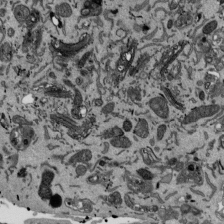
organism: Mouse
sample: ED-1 cell nuclei; centrioles